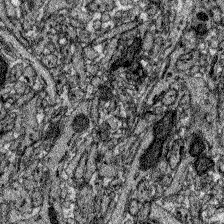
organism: Zebrafish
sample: Larval olfactory bulb